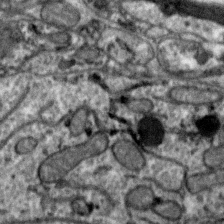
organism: Zebra finch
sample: Brain